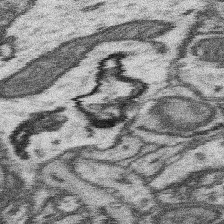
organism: Mouse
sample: Somatosensory cortex neuropil